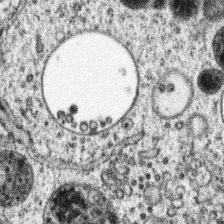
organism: Human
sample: HeLa cells